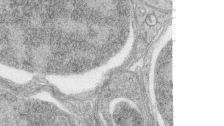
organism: Zebrafish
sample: synaptic ribbons in rod cells and cone cells